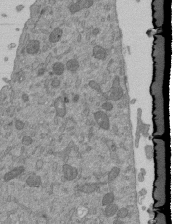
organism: Mouse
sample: ED-1 cell nuclei; centrioles